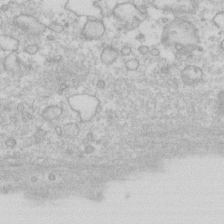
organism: Human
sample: Fibroblast cells